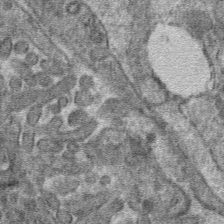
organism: Mouse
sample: Mouse hepatocytes